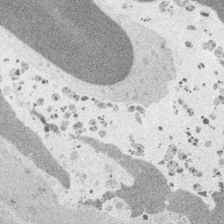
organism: Embia sp.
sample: Silk gland